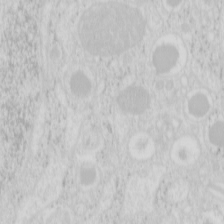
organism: Mouse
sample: Pancreas